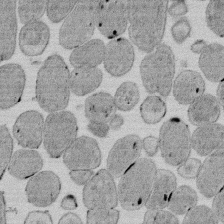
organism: E. coli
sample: Bacterial nucleoid